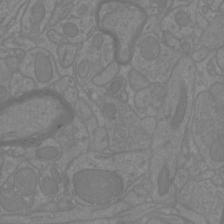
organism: Mouse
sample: Cortical neurons